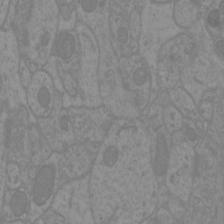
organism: Mouse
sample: Cortical neurons